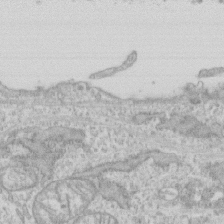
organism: Human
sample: CRL-1474